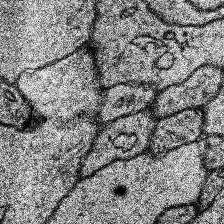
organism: Human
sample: Temporal Lobe